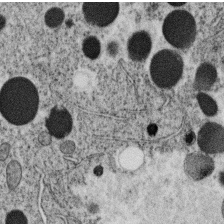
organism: C. elegans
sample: C. elegans oocyte; sperm cells